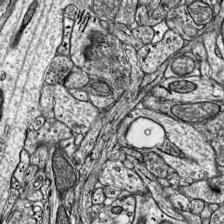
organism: Mouse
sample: Visual Cortex